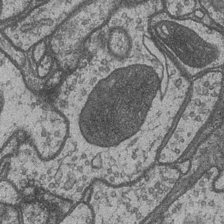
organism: Drosophila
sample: Optic medulla